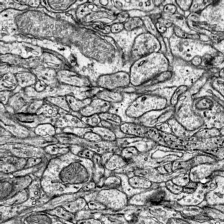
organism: Mouse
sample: Visual Cortex